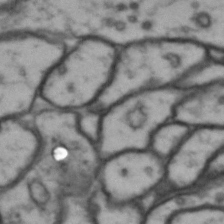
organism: Drosophila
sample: Brain